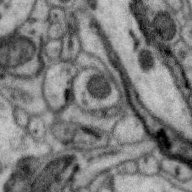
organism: Zebra finch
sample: Brain